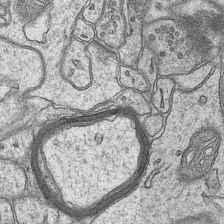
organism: Mouse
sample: CA1 Hippocampus